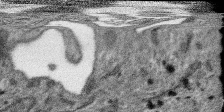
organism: Human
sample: Lung epithelial cells infected with SARS-CoV-2